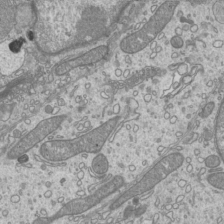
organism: Mouse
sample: Cilia; mouse epididymis